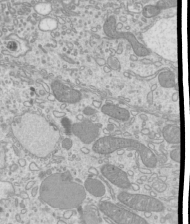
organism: Mouse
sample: Cilia; mouse epididymis